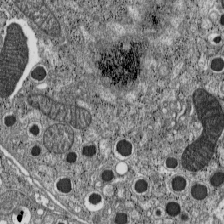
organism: C57BL Mouse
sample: Pancreatic islet